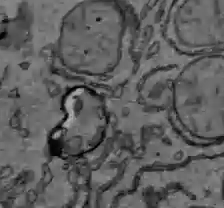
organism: C57BL Mouse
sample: Liver